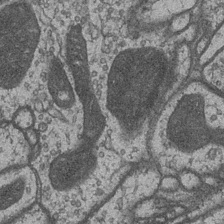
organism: Drosophila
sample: Optic medulla